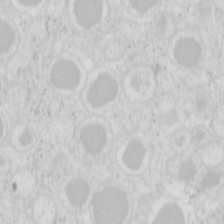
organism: Mouse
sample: Pancreas